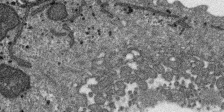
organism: Human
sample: Lung epithelial cells infected with SARS-CoV-2